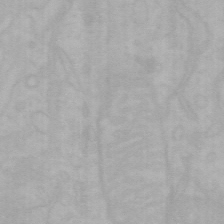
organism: Mouse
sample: Choroid plexus